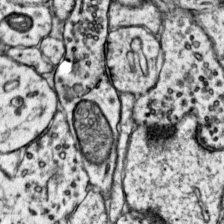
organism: Mouse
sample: Primary visual cortex